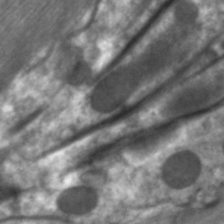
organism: C. elegans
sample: Pharynx